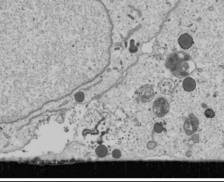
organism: Human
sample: Mitochondria in U2OS cells